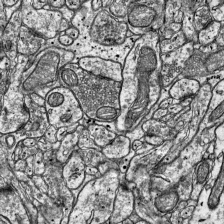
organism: Mouse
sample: Visual Cortex